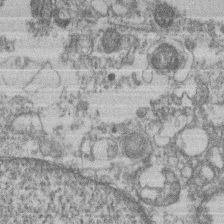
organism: Mouse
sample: T cell stromal cell synapse